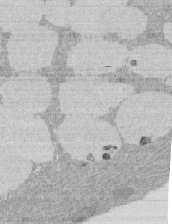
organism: Rat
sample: Salivary granule